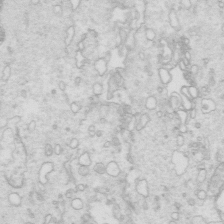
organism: Mouse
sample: Multiciliated cells